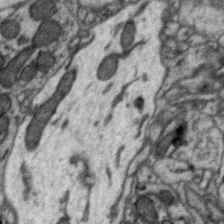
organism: Zebra finch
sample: Brain